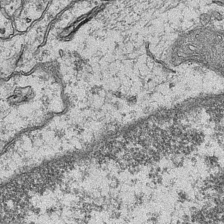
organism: Mouse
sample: CA1 Hippocampus